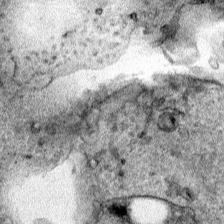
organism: Human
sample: Mitochondria in HCT116 cells